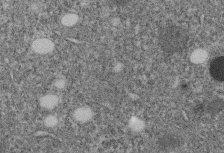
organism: C. elegans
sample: C. elegans embryo early stage